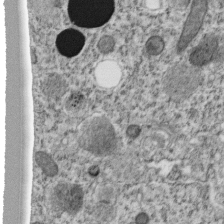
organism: C. elegans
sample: C. elegans embryo early stage